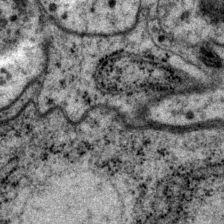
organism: P. pacificus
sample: Pharynx